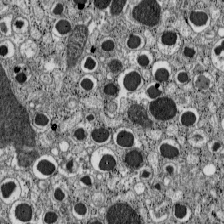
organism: C57BL Mouse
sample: Pancreatic islet